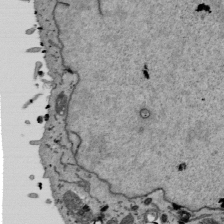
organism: Mouse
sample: ED-1 cell nuclei; centrioles